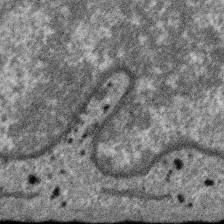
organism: Human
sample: Lung epithelial cells infected with SARS-CoV-2